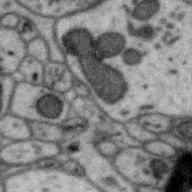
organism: Zebra finch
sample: Brain